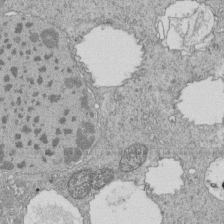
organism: Tetrahymena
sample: Cilia in tetrahymena